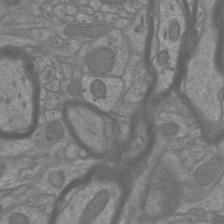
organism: Mouse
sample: Cortical neurons